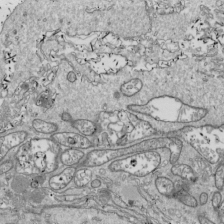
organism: Drosophila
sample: Cell division; meiosis; drosophila spermatocytes